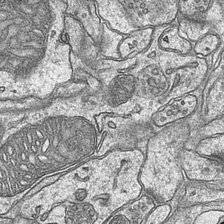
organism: Mouse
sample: CA1 Hippocampus